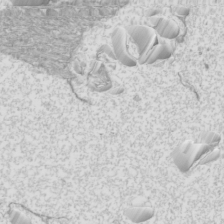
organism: Mouse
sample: Cilia; mouse epididymis